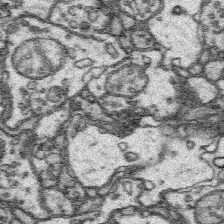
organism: Platynereis dumerilii